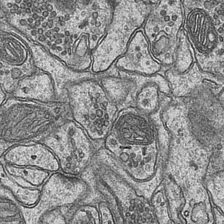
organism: Mouse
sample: CA1 Hippocampus